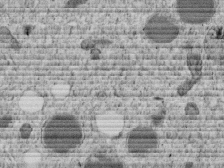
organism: C. elegans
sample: C. elegans embryo early stage